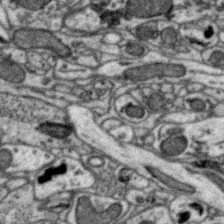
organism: Zebra finch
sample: Brain